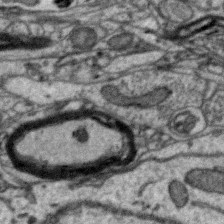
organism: Zebra finch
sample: Brain